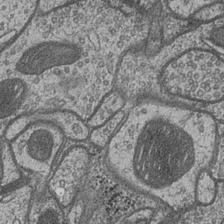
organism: Drosophila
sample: Optic medulla